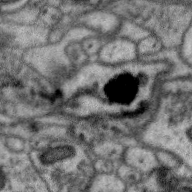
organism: Zebra finch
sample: Brain